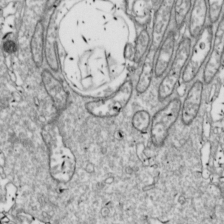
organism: Drosophila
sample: Cell division; meiosis; drosophila spermatocytes